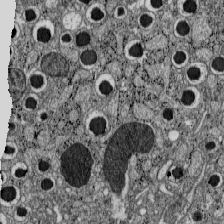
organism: C57BL Mouse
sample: Pancreatic islet